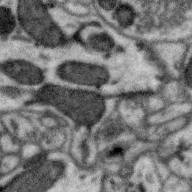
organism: Zebra finch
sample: Brain